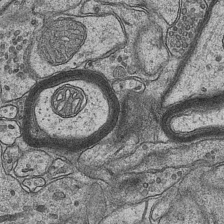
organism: Mouse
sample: CA1 Hippocampus